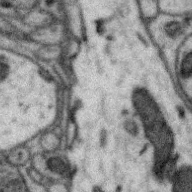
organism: Zebra finch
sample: Brain